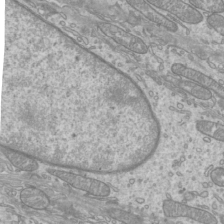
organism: Mouse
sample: Cilia; mouse epididymis